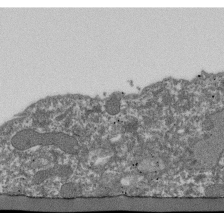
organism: Dictyostelium discoideum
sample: Dictyostelium multivesicular bodies